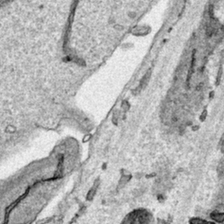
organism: Human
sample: Mitochondria in HCT116 cells